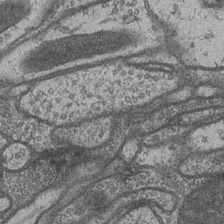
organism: Drosophila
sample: Optic medulla